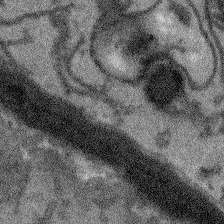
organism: Arabidopsis thaliana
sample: Root tip